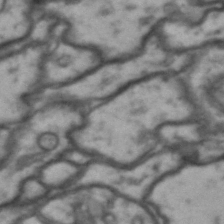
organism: Drosophila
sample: Brain